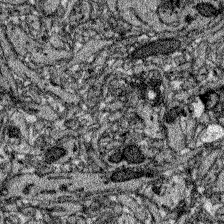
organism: Zebrafish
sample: Larval olfactory bulb